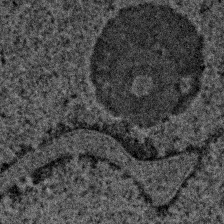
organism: Human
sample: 1205lu cells